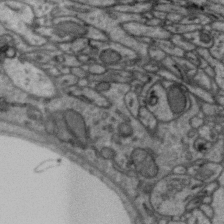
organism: Zebra finch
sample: Brain